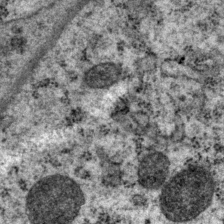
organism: P. pacificus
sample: Pharynx